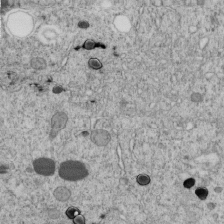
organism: C. elegans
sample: C. elegans embryo early stage